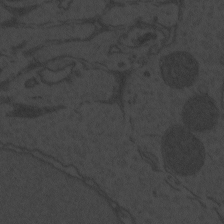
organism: Zebrafish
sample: Macrophage infected with Toxoplasma gondii